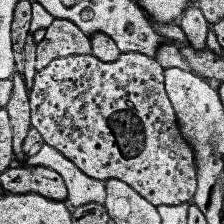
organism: Human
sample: Temporal Lobe